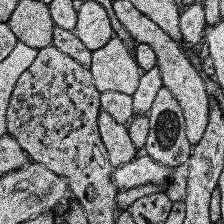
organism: Human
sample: Temporal Lobe